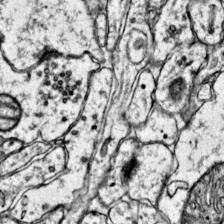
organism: Mouse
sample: Primary visual cortex